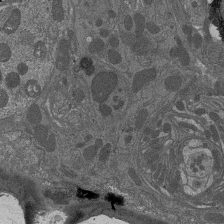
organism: Drosophila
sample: Antenna